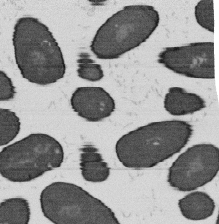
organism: B. subtilis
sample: Bacterial spore